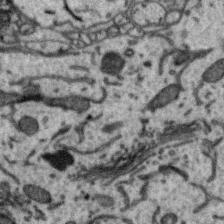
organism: Zebra finch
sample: Brain